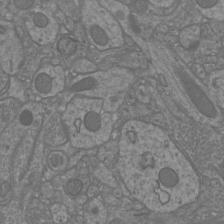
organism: Mouse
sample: Cortical neurons